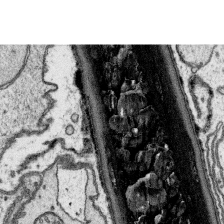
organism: Platynereis dumerilii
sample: Parapodia